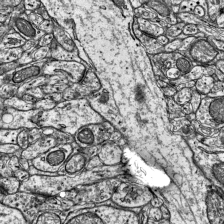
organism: Mouse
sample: Visual Cortex